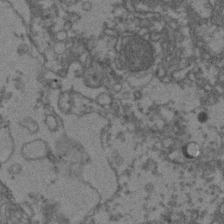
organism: Zebrafish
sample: Zebrafish embryo